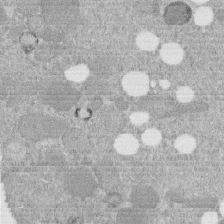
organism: C. elegans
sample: C. elegans embryo early stage